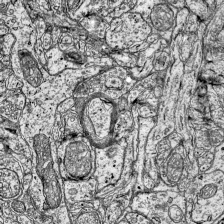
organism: Mouse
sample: Visual Cortex